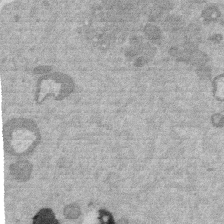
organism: Mouse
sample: Dividing mouse embryo 1 cell stage